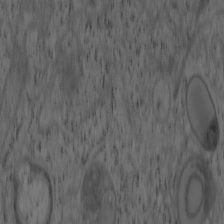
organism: Human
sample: HeLa cells